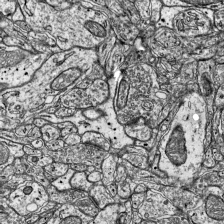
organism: Mouse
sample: Visual Cortex